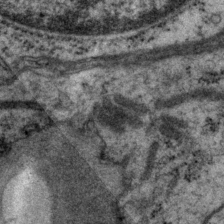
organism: P. pacificus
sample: Pharynx